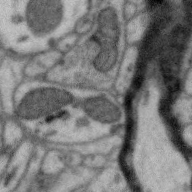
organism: Zebra finch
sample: Brain